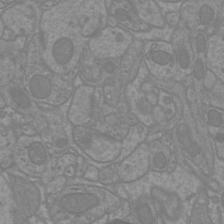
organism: Mouse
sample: Cortical neurons